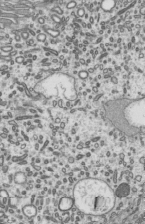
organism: Mouse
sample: Mouse epididymis efferent ductule cilia